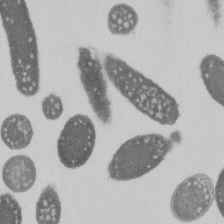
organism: E. coli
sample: Bacterial nucleoid